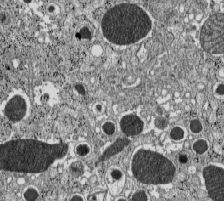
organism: C57BL Mouse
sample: Pancreatic islet